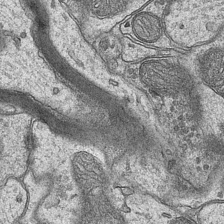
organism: Mouse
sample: CA1 Hippocampus